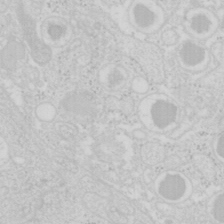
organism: Mouse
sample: Pancreas